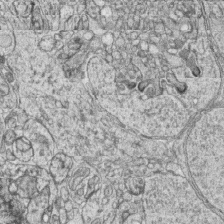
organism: Zebrafish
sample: synaptic ribbons in rod cells and cone cells